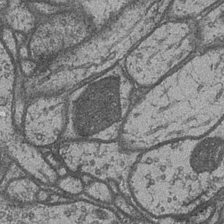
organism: Drosophila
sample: Optic medulla